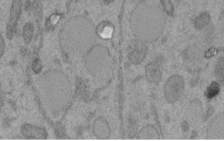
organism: C. elegans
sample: C. elegans embryo early stage